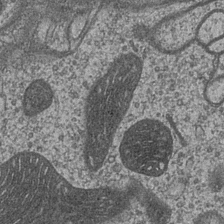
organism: Drosophila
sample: Optic medulla